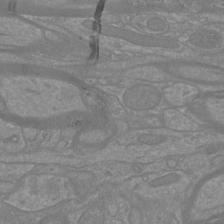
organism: Mouse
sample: Cortical neurons